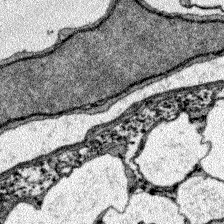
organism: Zebrafish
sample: Larval olfactory bulb